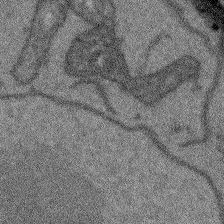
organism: Arabidopsis thaliana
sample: Root tip